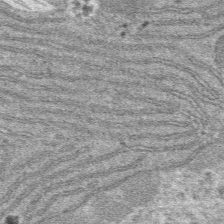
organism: Mouse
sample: Mouse hepatocytes